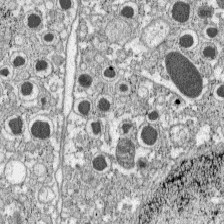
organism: C57BL Mouse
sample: Pancreatic islet